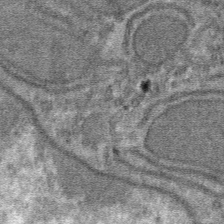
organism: Mouse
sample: Mouse hepatocytes